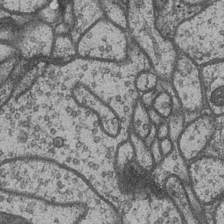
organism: Drosophila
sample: Optic medulla